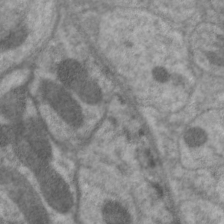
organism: C. elegans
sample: Pharynx